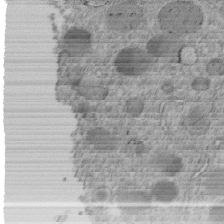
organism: C. elegans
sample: C. elegans embryo early stage